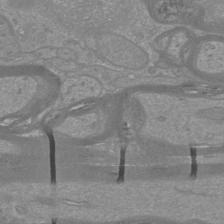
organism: Mouse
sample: Cortical neurons